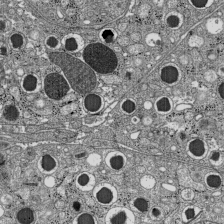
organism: C57BL Mouse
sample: Pancreatic islet